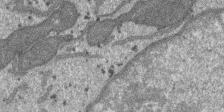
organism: Human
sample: Lung epithelial cells infected with SARS-CoV-2